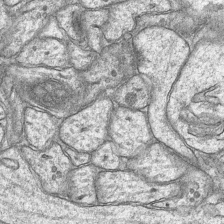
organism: Mouse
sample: CA1 Hippocampus